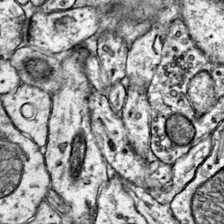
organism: Mouse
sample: Primary visual cortex